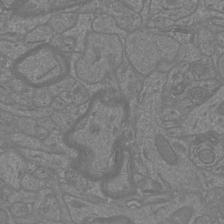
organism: Mouse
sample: Cortical neurons